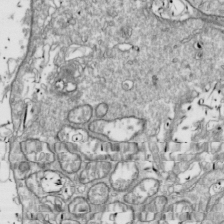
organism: Drosophila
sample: Cell division; meiosis; drosophila spermatocytes